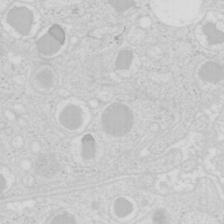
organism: Mouse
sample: Pancreas